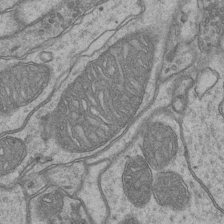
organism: Mouse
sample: CA1 Hippocampus